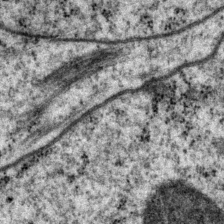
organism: P. pacificus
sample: Pharynx